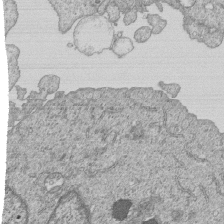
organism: Human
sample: MDA-MB-231 cells